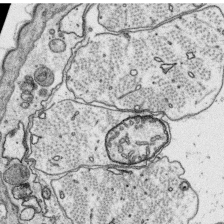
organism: Platynereis dumerilii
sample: Parapodia